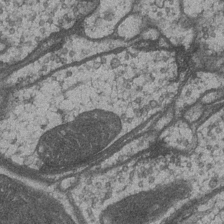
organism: Drosophila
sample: Optic medulla